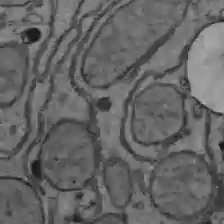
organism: C57BL Mouse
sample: Liver